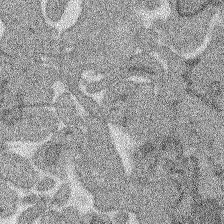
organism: Human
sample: HeLa cells